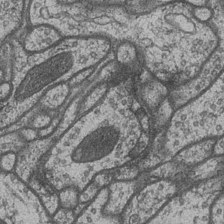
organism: Drosophila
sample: Optic medulla